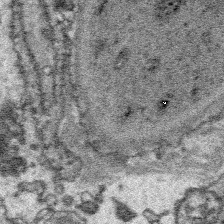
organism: Platynereis dumerilii